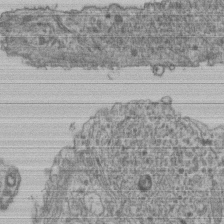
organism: Human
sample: Retinal organoid Rod and Cone cells